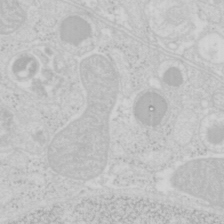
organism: Mouse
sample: Pancreas